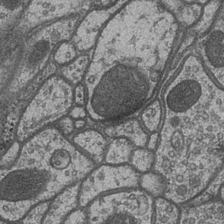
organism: Drosophila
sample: Optic medulla